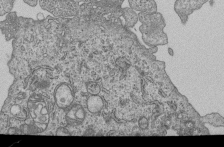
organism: Human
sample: MDA-MB-231 cells